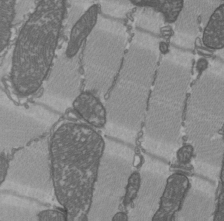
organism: C57BL Mouse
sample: Heart